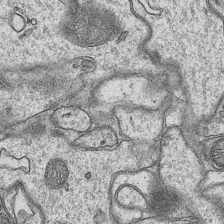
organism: Mouse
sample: CA1 Hippocampus